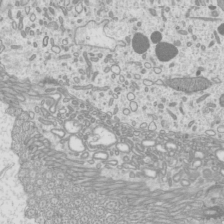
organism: Mouse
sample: Cilia; mouse epididymis